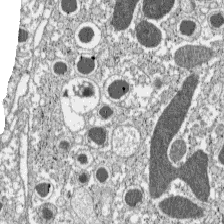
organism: C57BL Mouse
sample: Pancreatic islet